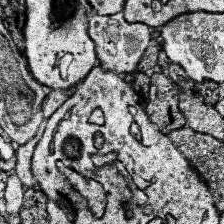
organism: Human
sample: Temporal Lobe